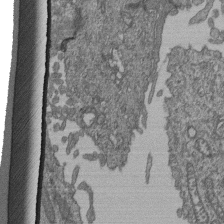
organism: Human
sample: Retinal organoid Rod and Cone cells